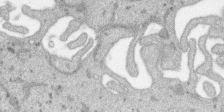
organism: Human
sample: Lung epithelial cells infected with SARS-CoV-2